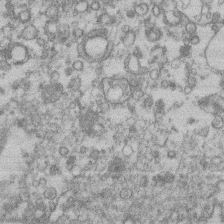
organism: Mouse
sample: T cell stromal cell synapse